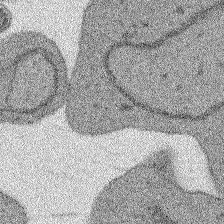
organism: Human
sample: HeLa cells